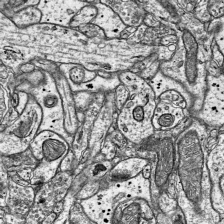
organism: Mouse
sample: Visual Cortex